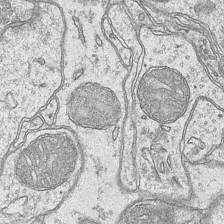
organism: Mouse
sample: CA1 Hippocampus